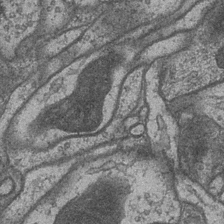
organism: Drosophila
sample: Optic medulla